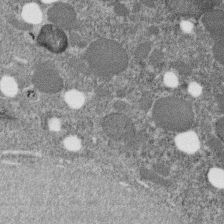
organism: C. elegans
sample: C. elegans embryo early stage